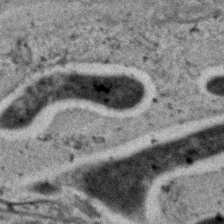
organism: C. elegans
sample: C. elegans embryo